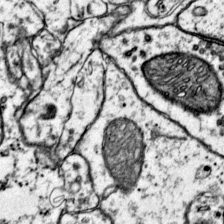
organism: Mouse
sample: Primary visual cortex